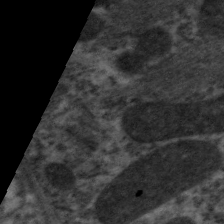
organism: C. elegans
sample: Pharynx